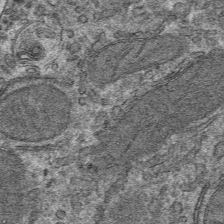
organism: Mouse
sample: Mouse hepatocytes